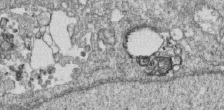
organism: Human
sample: HeLa cell HIV synapse